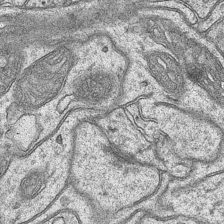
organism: Mouse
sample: CA1 Hippocampus